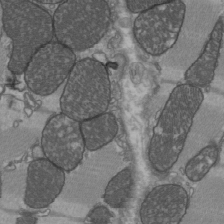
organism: C57BL Mouse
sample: Heart